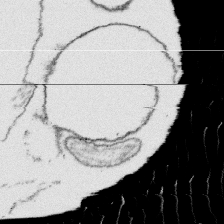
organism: Platynereis dumerilii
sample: Parapodia